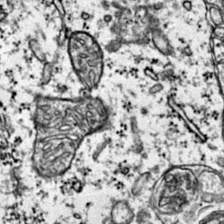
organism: Mouse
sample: Primary visual cortex